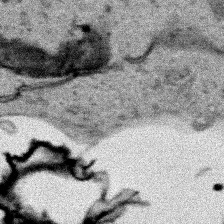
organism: Human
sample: Mitochondria in HCT116 cells